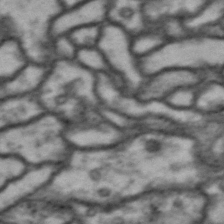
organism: Drosophila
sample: Brain